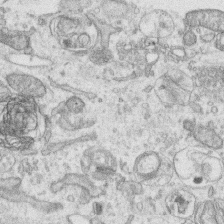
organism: Human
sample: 1205lu cells